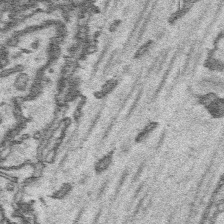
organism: Platynereis dumerilii